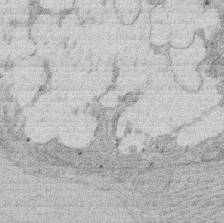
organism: Rat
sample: Salivary granule